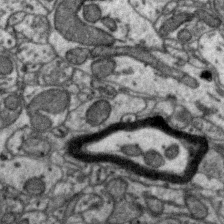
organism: Zebra finch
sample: Brain